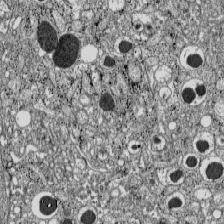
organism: C57BL Mouse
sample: Pancreatic islet